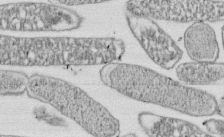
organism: E. coli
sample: Bacterial nucleoid